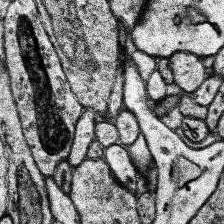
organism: Human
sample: Temporal Lobe